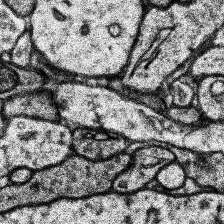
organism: Human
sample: Temporal Lobe